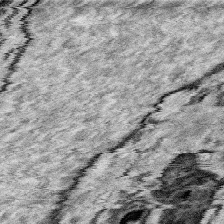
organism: Human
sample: HeLa cells